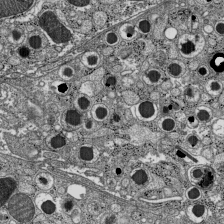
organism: C57BL Mouse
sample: Pancreatic islet